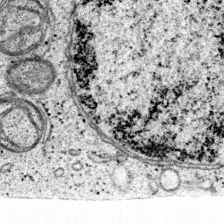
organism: Human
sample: HeLa cells